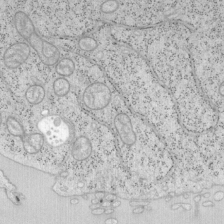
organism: Mouse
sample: OT-I killer T cells with ID8 ovarian cancer cells